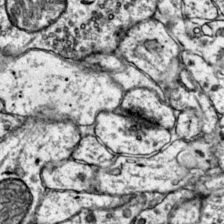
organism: Mouse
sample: Primary visual cortex